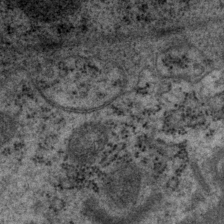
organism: P. pacificus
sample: Pharynx